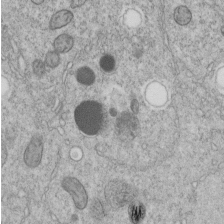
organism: C. elegans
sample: C. elegans embryo early stage